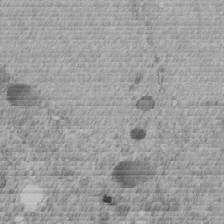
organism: C. elegans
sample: C. elegans embryo early stage